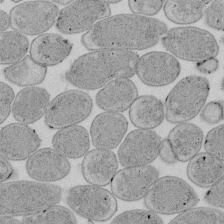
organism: E. coli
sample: Bacterial nucleoid